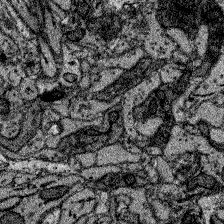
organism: Zebrafish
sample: Larval olfactory bulb